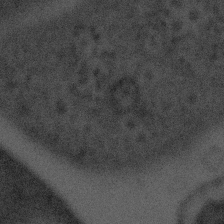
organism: Tuwongella immobilis